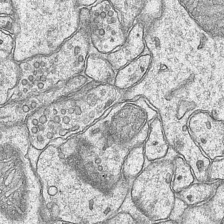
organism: Mouse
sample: CA1 Hippocampus